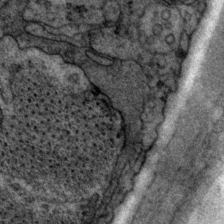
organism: P. pacificus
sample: Pharynx